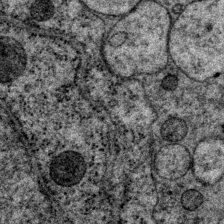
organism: P. pacificus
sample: Pharynx